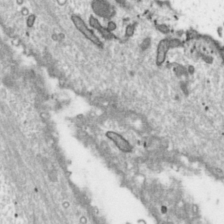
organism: Toxoplasma gondii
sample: Parasites in a vacuole inside a host cell